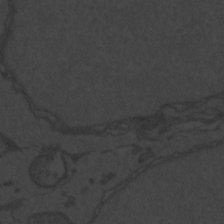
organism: Zebrafish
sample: Macrophage infected with Toxoplasma gondii